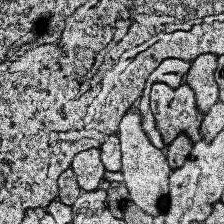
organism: Human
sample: Temporal Lobe